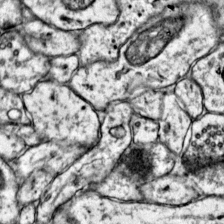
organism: Mouse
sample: Primary visual cortex